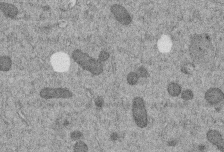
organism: C. elegans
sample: C. elegans embryo early stage